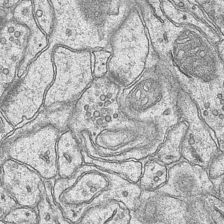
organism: Mouse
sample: CA1 Hippocampus